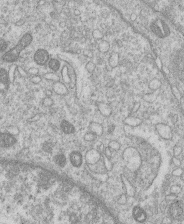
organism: Human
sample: Macrophage cells